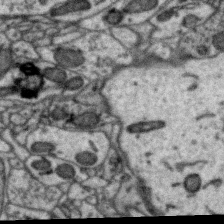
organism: Zebra finch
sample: Brain